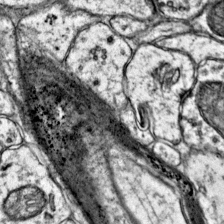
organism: Mouse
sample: Primary visual cortex